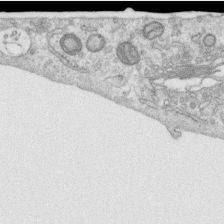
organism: Human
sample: Centriole in RPE cells